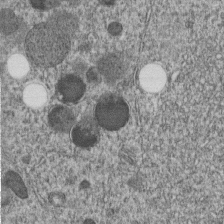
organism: C. elegans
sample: C. elegans embryo early stage